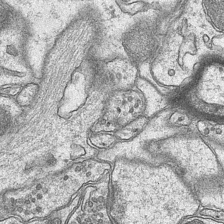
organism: Mouse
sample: CA1 Hippocampus